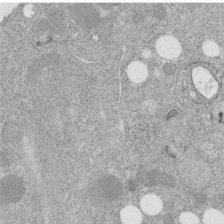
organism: C. elegans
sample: C. elegans embryo early stage